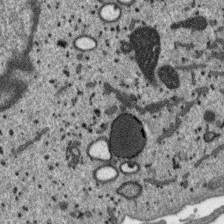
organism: Human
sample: Lung epithelial cells infected with SARS-CoV-2